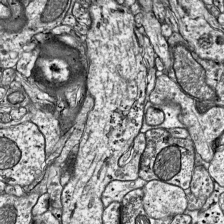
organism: Mouse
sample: Visual Cortex